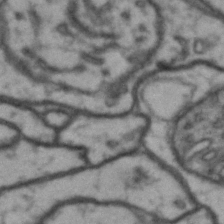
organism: Drosophila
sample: Brain